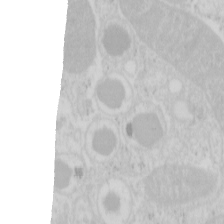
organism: Mouse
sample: Pancreas